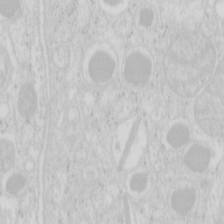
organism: Mouse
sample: Pancreas